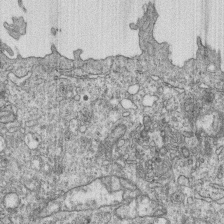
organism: Human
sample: HeLa cell HIV synapse